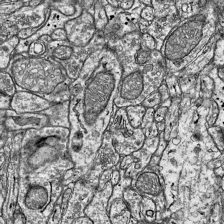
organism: Mouse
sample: Visual Cortex